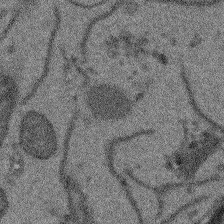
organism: Arabidopsis thaliana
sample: Root tip